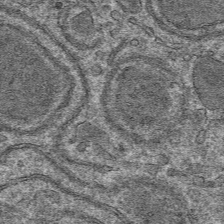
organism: Mouse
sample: Mouse hepatocytes